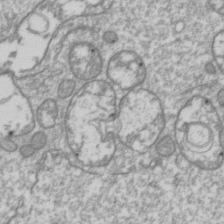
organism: Drosophila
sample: Cell division; meiosis; drosophila spermatocytes